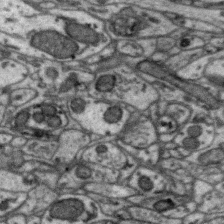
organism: Zebra finch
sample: Brain